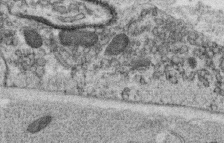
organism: C. elegans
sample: C. elegans oocyte; sperm cells